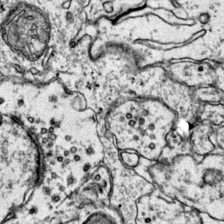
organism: Mouse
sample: Primary visual cortex